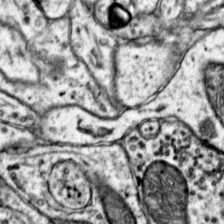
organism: Mouse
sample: Primary visual cortex